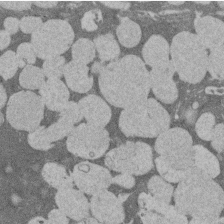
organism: Rat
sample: Salivary granule